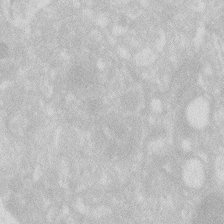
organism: Zebrafish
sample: Macrophage